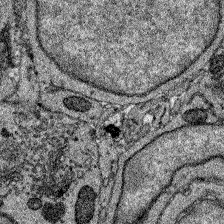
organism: Zebrafish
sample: Larval olfactory bulb